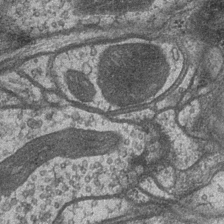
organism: Drosophila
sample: Optic medulla